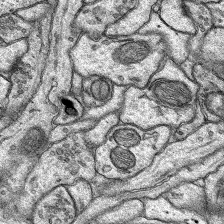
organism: Rat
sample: Hippocampus